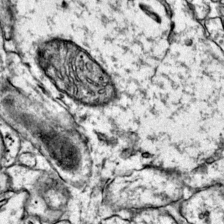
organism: Mouse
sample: Primary visual cortex